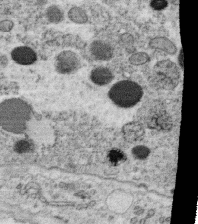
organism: C. elegans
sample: C. elegans oocyte; sperm cells